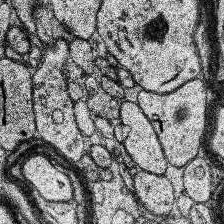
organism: Human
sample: Temporal Lobe